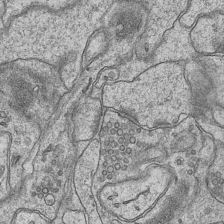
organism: Mouse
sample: CA1 Hippocampus